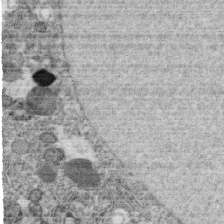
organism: C. elegans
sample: C. elegans oocyte; sperm cells